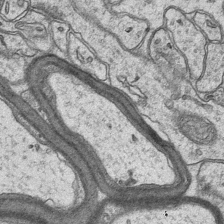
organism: Mouse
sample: CA1 Hippocampus